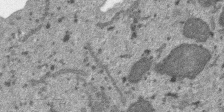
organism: Human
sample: Lung epithelial cells infected with SARS-CoV-2